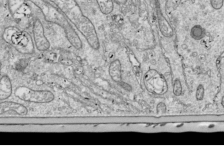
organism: Drosophila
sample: Cell division; meiosis; drosophila spermatocytes